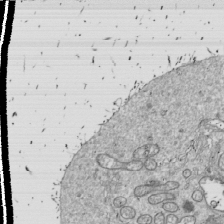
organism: Drosophila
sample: Cell division; meiosis; drosophila spermatocytes